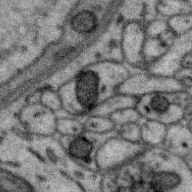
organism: Zebra finch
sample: Brain